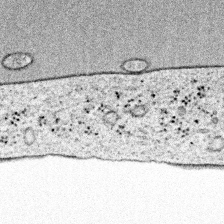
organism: Human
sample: HeLa cells